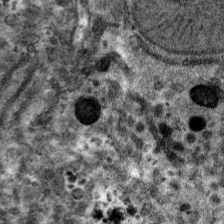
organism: Mouse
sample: Mouse hepatocytes